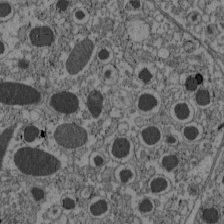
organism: C57BL Mouse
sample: Pancreatic islet